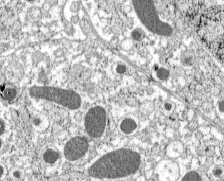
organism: C57BL Mouse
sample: Pancreatic islet